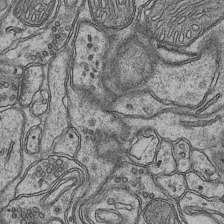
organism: Mouse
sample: CA1 Hippocampus